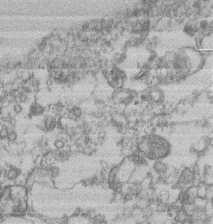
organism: Mouse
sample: T cell stromal cell synapse